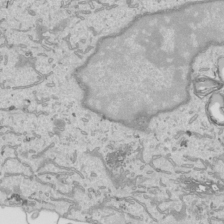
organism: Human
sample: Mitochondria in HCT116 cells